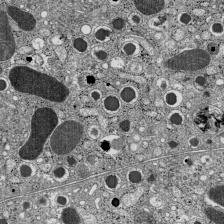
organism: C57BL Mouse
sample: Pancreatic islet